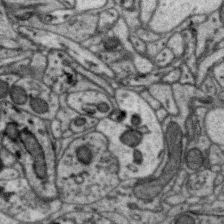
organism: Zebra finch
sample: Brain